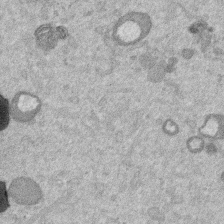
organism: Mouse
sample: Dividing mouse embryo 1 cell stage